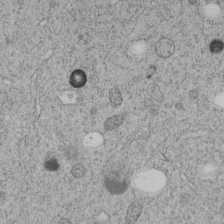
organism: C. elegans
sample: C. elegans embryo early stage